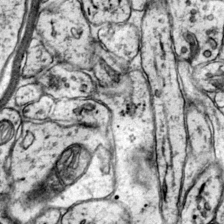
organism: Mouse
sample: Primary visual cortex